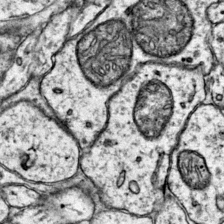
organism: Mouse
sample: Primary visual cortex